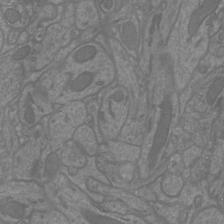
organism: Mouse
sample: Cortical neurons